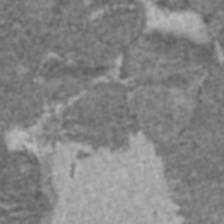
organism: C57BL Mouse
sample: Heart